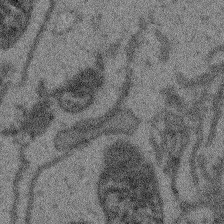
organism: Arabidopsis thaliana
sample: Root tip